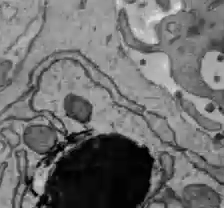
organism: C57BL Mouse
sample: Liver